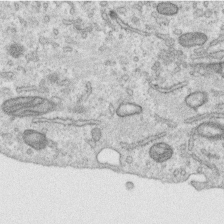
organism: Human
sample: Centriole in RPE cells